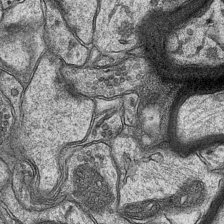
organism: Mouse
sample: CA1 Hippocampus